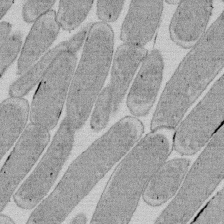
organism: E. coli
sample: Bacterial nucleoid